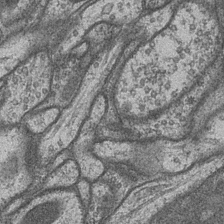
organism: Drosophila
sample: Optic medulla